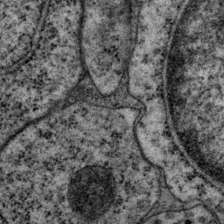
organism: P. pacificus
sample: Pharynx